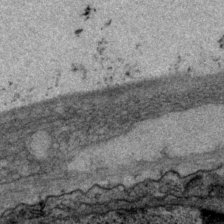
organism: P. pacificus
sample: Pharynx